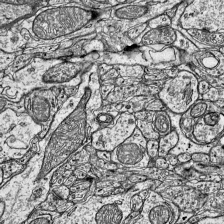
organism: Mouse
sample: Visual Cortex